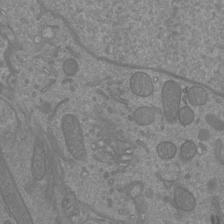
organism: Mouse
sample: Cortical neurons